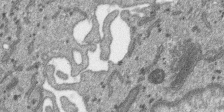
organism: Human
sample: Lung epithelial cells infected with SARS-CoV-2